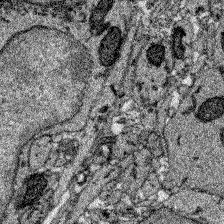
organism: Zebrafish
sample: Larval olfactory bulb